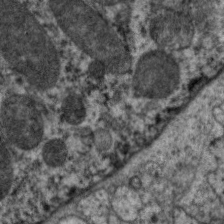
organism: C. elegans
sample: Pharynx